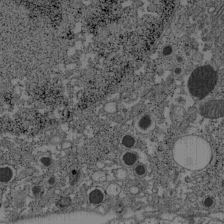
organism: C57BL Mouse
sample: Pancreatic islet